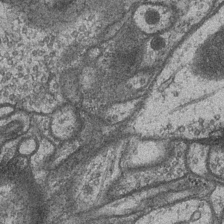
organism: Drosophila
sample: Optic medulla